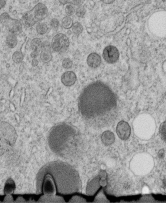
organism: C. elegans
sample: C. elegans embryo early stage